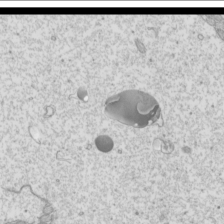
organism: Mouse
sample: Cilia; mouse epididymis